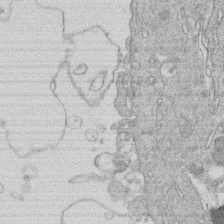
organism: Human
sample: Macrophage cells